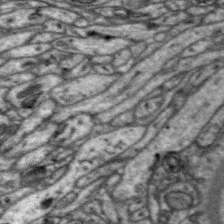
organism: Zebra finch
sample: Brain